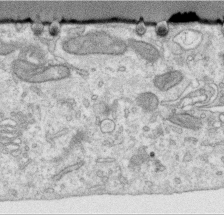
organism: Human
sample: Centriole in RPE cells